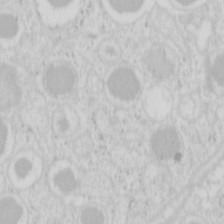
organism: Mouse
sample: Pancreas